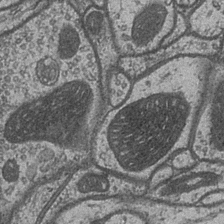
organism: Drosophila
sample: Optic medulla